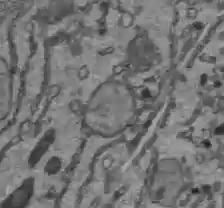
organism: C57BL Mouse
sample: Liver